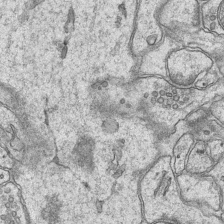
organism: Mouse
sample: CA1 Hippocampus